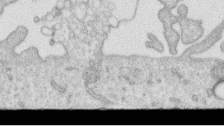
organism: Human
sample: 1205lu cells